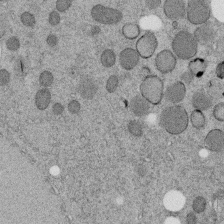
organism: C. elegans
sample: C. elegans embryo early stage